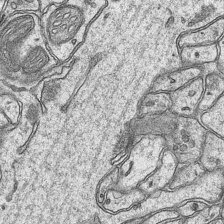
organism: Mouse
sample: CA1 Hippocampus